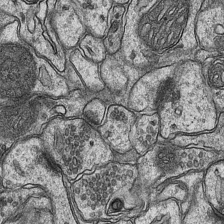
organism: Mouse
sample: CA1 Hippocampus